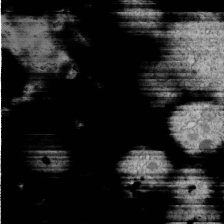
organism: C. elegans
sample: C. elegans embryo early stage